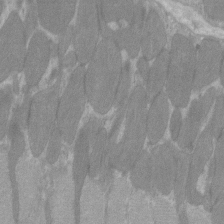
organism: C57BL Mouse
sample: Tibialis anterior muscle cell